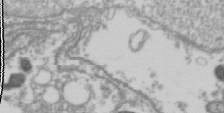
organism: Drosophila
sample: Cell division; meiosis; drosophila spermatocytes